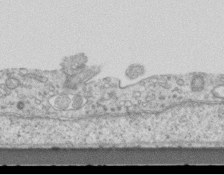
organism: Mouse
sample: Centriole in ependymal cells